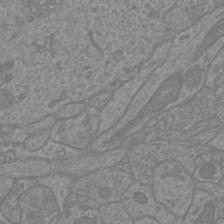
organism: Mouse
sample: Cortical neurons